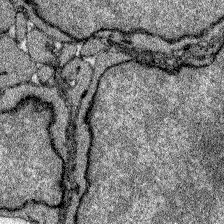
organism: Zebrafish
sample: Larval olfactory bulb